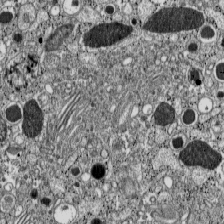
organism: C57BL Mouse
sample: Pancreatic islet